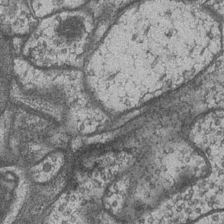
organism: Drosophila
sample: Optic medulla